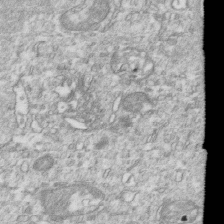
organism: Mouse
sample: Activated OT-1 CD8+ T cells